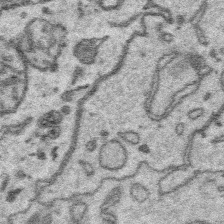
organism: Platynereis dumerilii